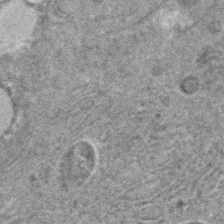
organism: C. elegans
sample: C. elegans embryo